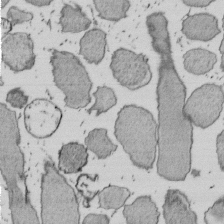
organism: E. coli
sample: Bacterial nucleoid